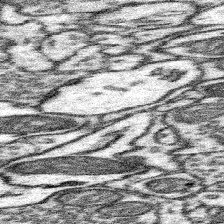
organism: Mouse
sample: Somatosensory cortex neuropil